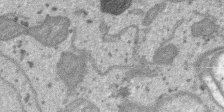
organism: Human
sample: Lung epithelial cells infected with SARS-CoV-2